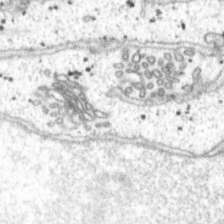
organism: Human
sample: HeLa cells